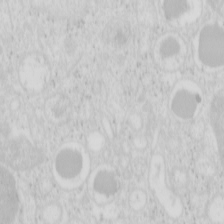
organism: Mouse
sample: Pancreas